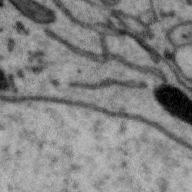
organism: Zebra finch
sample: Brain